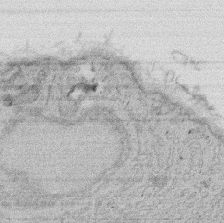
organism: Rat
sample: Salivary granule